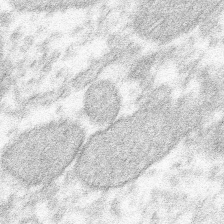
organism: Xenopus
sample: Cilia; centrioles in frog embryo cells